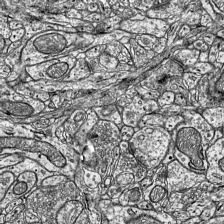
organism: Mouse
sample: Visual Cortex